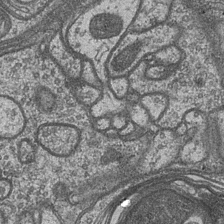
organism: Drosophila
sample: Optic medulla